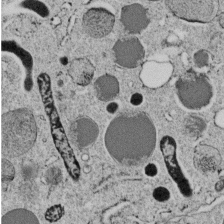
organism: C. elegans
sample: C. elegans embryo early stage